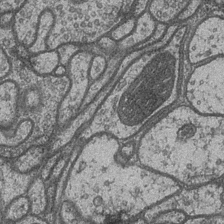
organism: Drosophila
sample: Optic medulla